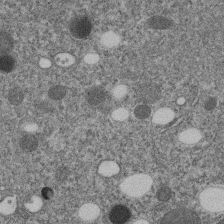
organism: C. elegans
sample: C. elegans embryo early stage